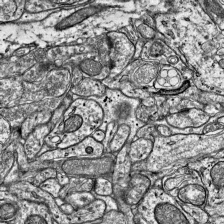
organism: Mouse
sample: Visual Cortex